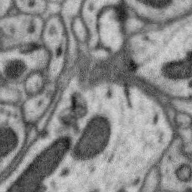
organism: Zebra finch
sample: Brain